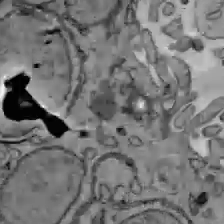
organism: C57BL Mouse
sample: Liver